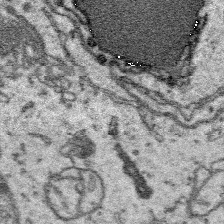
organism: Platynereis dumerilii